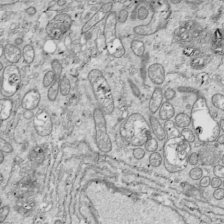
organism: Drosophila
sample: Cell division; meiosis; drosophila spermatocytes